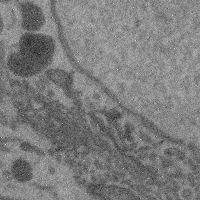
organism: Mouse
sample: Cerebral cortex